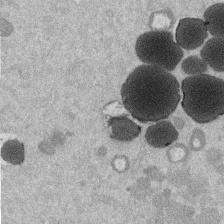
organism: Mouse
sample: Dividing mouse embryo 1 cell stage